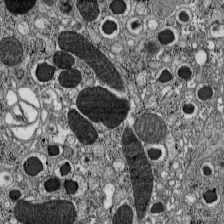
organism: C57BL Mouse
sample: Pancreatic islet